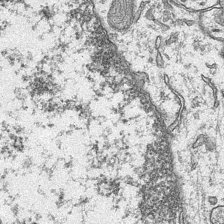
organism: Mouse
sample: CA1 Hippocampus